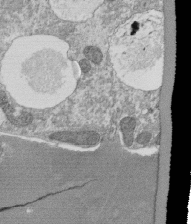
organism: Tetrahymena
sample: Cilia in tetrahymena